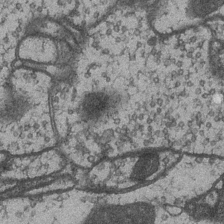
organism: Drosophila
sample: Optic medulla